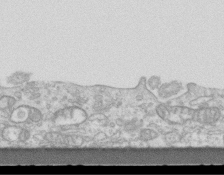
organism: Mouse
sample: Centriole in ependymal cells